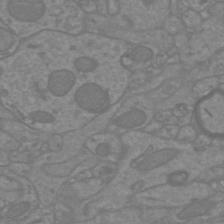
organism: Mouse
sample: Cortical neurons